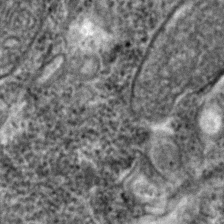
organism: Zebrafish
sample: Zebrafish embryo